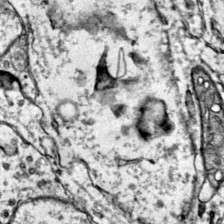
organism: Mouse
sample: Primary visual cortex